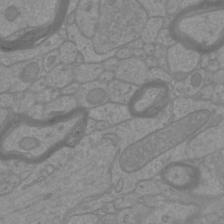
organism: Mouse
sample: Cortical neurons